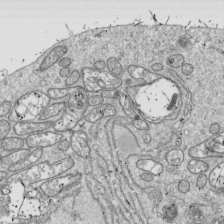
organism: Drosophila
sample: Cell division; meiosis; drosophila spermatocytes